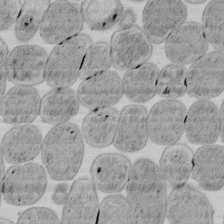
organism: E. coli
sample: Bacterial nucleoid